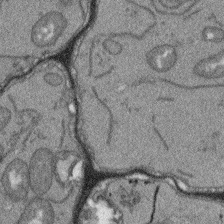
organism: Arabidopsis thaliana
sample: Root tip